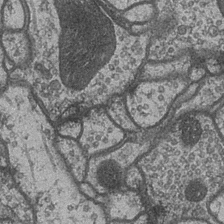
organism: Drosophila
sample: Optic medulla